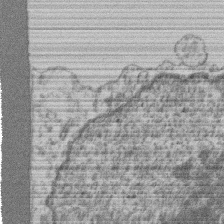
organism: Mouse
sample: T cell stromal cell synapse